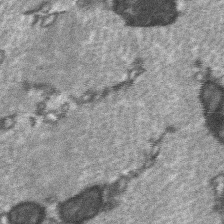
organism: C57BL Mouse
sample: Soleus